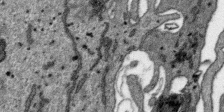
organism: Human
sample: Lung epithelial cells, uninfected (mock) control